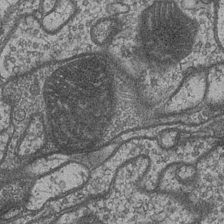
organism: Drosophila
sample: Optic medulla